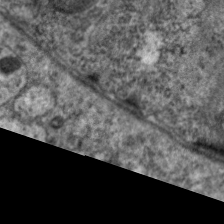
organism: C. elegans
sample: Pharynx